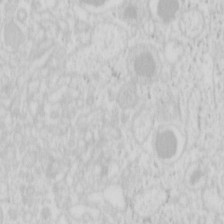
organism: Mouse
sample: Pancreas